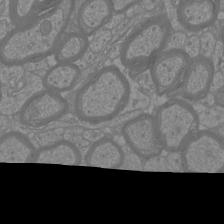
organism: Mouse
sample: Cortical neurons